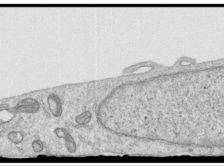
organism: Human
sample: Centriole in RPE cells